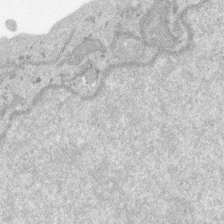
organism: Human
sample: Lung epithelial cells infected with SARS-CoV-2